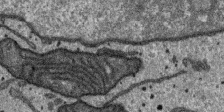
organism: Human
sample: Lung epithelial cells, uninfected (mock) control